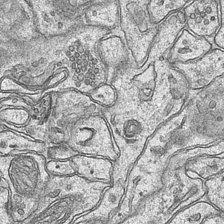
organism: Mouse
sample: CA1 Hippocampus